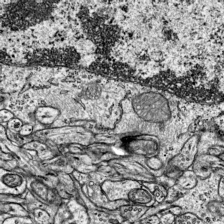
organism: Mouse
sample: Visual Cortex